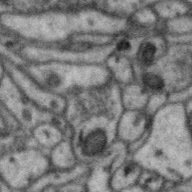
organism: Zebra finch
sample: Brain